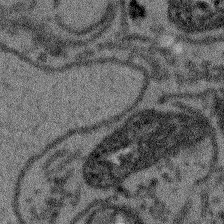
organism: Arabidopsis thaliana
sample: Root tip